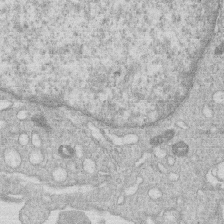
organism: Human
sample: Macrophage cells